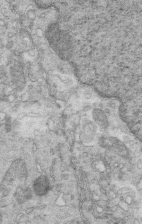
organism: Mouse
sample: Multiciliated cells